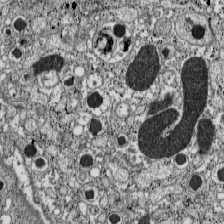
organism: C57BL Mouse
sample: Pancreatic islet